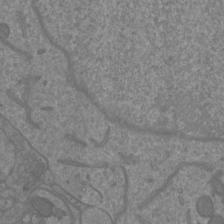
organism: Mouse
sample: Cortical neurons